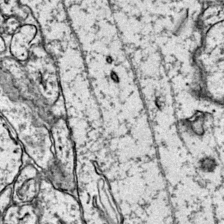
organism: Mouse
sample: Primary visual cortex